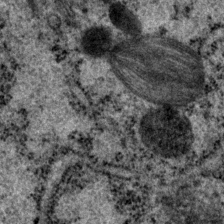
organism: P. pacificus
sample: Pharynx